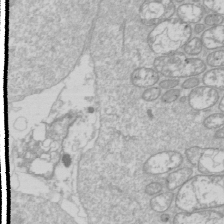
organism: Drosophila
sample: Cell division; meiosis; drosophila spermatocytes